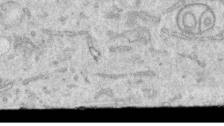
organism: Human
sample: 1205lu cells